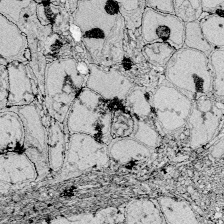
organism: Zebrafish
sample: Whole-Brain